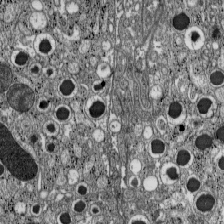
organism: C57BL Mouse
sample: Pancreatic islet